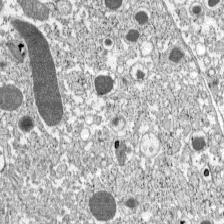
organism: C57BL Mouse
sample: Pancreatic islet